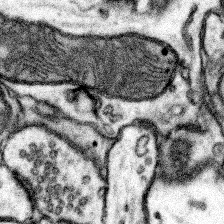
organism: Mouse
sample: Somatosensory cortex neuropil